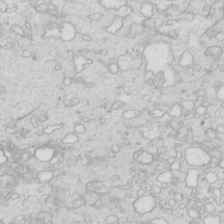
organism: Mouse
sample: Multiciliated cells